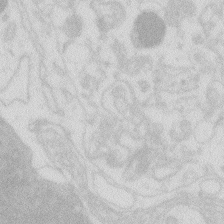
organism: Zebrafish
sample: Macrophage